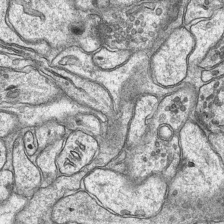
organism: Mouse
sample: CA1 Hippocampus